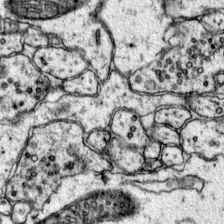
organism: Mouse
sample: Primary visual cortex